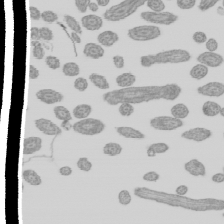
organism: Mouse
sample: Cilia; mouse epididymis